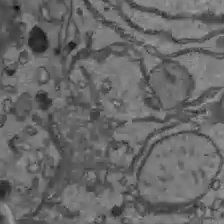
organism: C57BL Mouse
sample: Liver